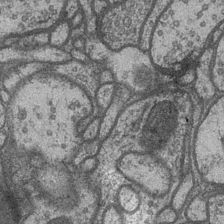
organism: Drosophila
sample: Optic medulla